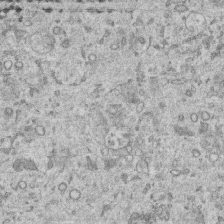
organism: Human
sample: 1205lu cells